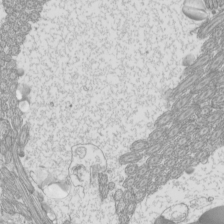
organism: Mouse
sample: Cilia; mouse epididymis